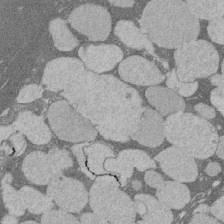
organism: Rat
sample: Salivary granule